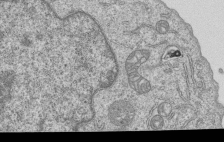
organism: Human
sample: MDA-MB-231 cells